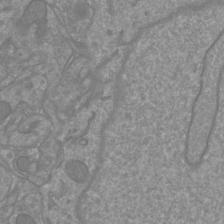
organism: Mouse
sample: Cortical neurons